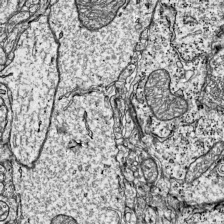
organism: Mouse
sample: Visual Cortex